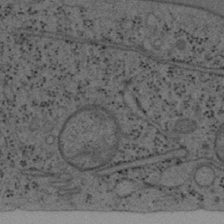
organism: Human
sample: HeLa cells